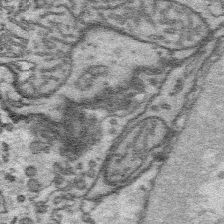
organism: Platynereis dumerilii